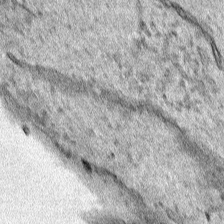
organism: Human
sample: Mitochondria in HCT116 cells